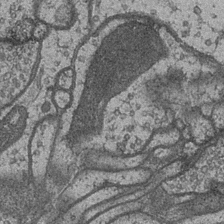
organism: Drosophila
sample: Optic medulla